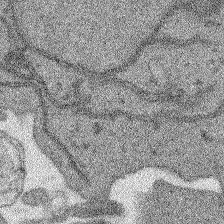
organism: Human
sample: HeLa cells